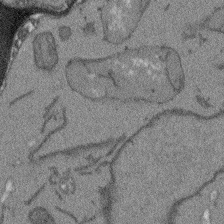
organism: Arabidopsis thaliana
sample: Root tip